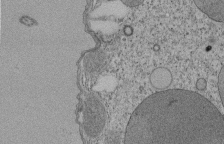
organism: Tetrahymena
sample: Cilia in tetrahymena